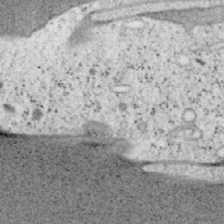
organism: Mouse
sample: OT-I killer T cells with ID8 ovarian cancer cells